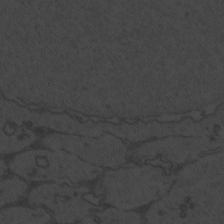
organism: Zebrafish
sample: Macrophage infected with Toxoplasma gondii